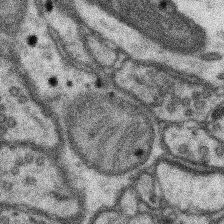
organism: Mouse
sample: Somatosensory cortex neuropil